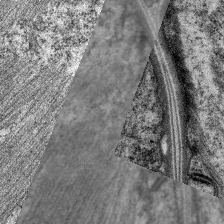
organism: C. elegans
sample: Pharynx